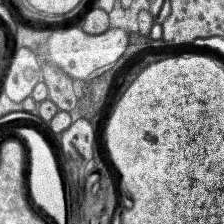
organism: Human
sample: Temporal Lobe